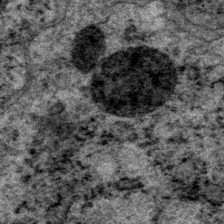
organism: P. pacificus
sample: Pharynx